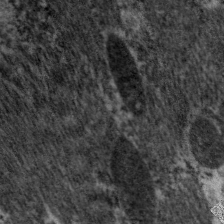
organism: C. elegans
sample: Pharynx